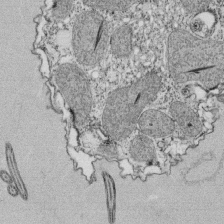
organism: Tetrahymena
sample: Cilia in tetrahymena